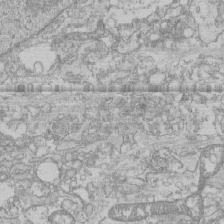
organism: Human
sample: CRL-1474